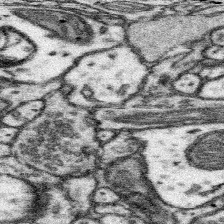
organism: Mouse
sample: Somatosensory cortex neuropil